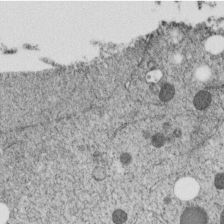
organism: C. elegans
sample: C. elegans embryo early stage